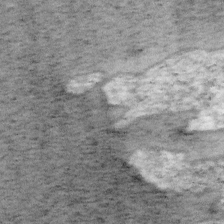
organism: Mouse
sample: OT-I killer T cells with ID8 ovarian cancer cells